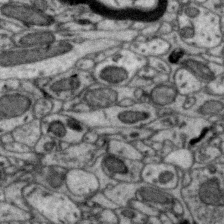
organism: Zebra finch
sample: Brain